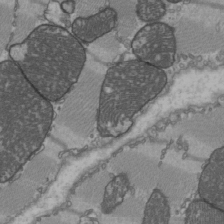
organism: C57BL Mouse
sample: Heart